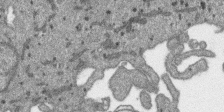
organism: Human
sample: Lung epithelial cells infected with SARS-CoV-2